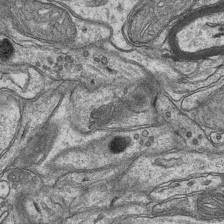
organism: Mouse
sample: CA1 Hippocampus